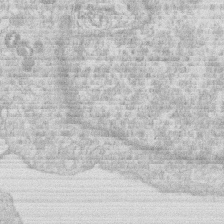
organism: Human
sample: Macrophage cells